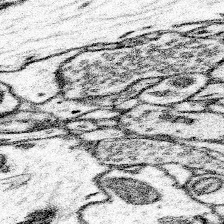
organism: Mouse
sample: Somatosensory cortex neuropil